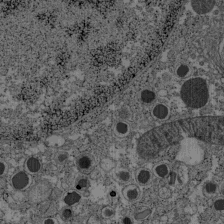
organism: C57BL Mouse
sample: Pancreatic islet